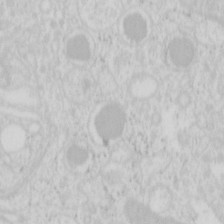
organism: Mouse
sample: Pancreas